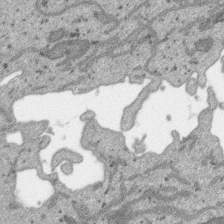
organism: Human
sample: Lung epithelial cells infected with SARS-CoV-2